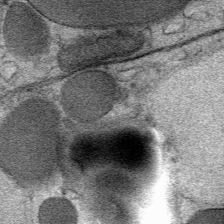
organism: Mouse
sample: Mouse Salivary gland